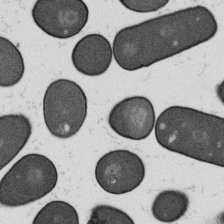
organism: B. subtilis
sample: Bacterial spore